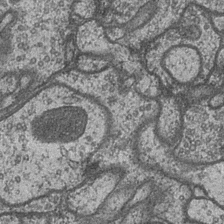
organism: Drosophila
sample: Optic medulla